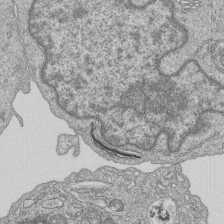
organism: Human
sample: MDA-MB-231 cells